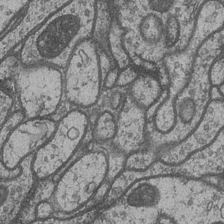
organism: Drosophila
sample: Optic medulla